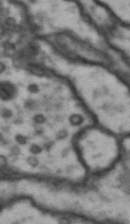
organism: Drosophila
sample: Brain